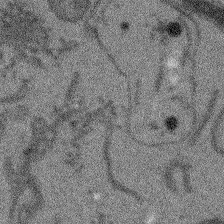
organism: Arabidopsis thaliana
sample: Root tip